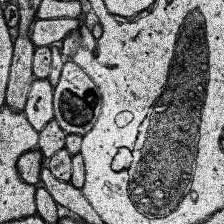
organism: Human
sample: Temporal Lobe